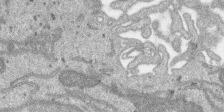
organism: Human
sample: Lung epithelial cells infected with SARS-CoV-2